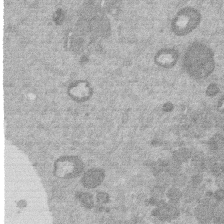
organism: Mouse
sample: Dividing mouse embryo 1 cell stage